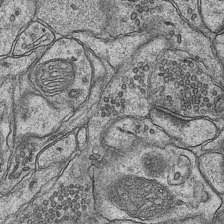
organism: Mouse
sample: CA1 Hippocampus